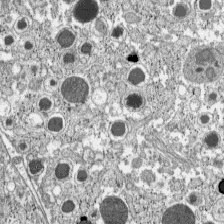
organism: C57BL Mouse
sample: Pancreatic islet